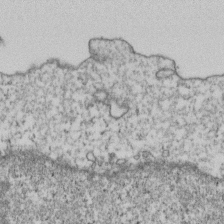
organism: Human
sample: Activated Jurkat CD4+ T cells